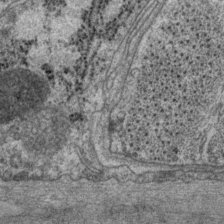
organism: P. pacificus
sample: Pharynx